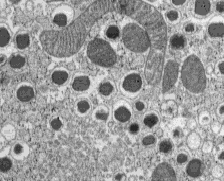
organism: C57BL Mouse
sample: Pancreatic islet